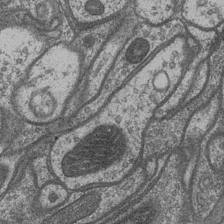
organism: Drosophila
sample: Optic medulla